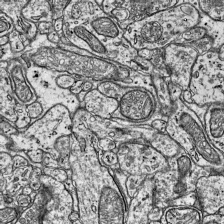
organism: Mouse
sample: Visual Cortex